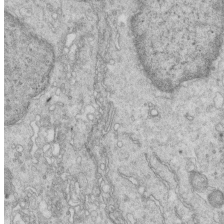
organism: Mouse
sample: Multiciliated cells